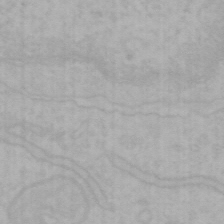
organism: Mouse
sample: Choroid plexus